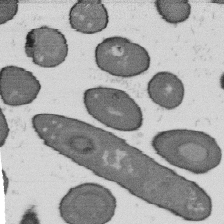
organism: B. subtilis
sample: Bacterial spore